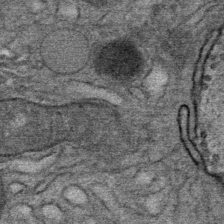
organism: Mouse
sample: Mouse Salivary gland